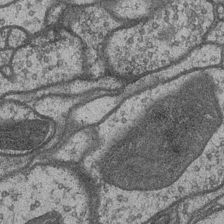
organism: Drosophila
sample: Optic medulla